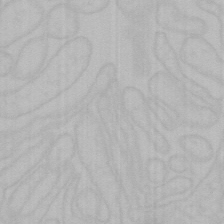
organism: Mouse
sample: Choroid plexus